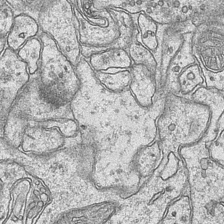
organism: Mouse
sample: CA1 Hippocampus